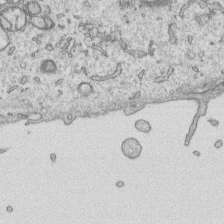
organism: Human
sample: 1205lu cells